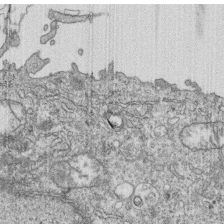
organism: Human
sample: HeLa cell HIV synapse